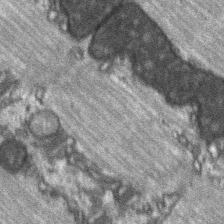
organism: C57BL Mouse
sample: Soleus